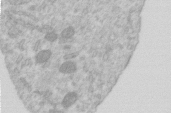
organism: Human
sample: Centriole in RPE cells